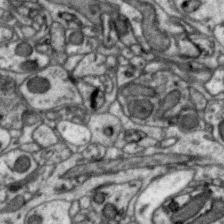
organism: Zebra finch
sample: Brain